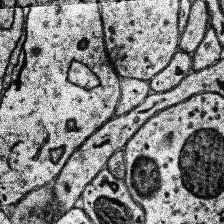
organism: Human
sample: Temporal Lobe